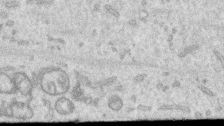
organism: Human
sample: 1205lu cells